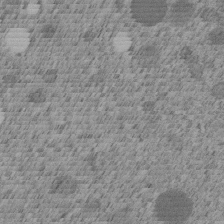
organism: C. elegans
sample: C. elegans embryo early stage